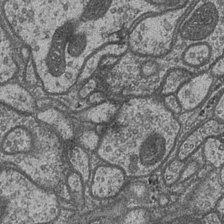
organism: Drosophila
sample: Optic medulla